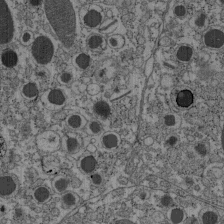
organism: C57BL Mouse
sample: Pancreatic islet